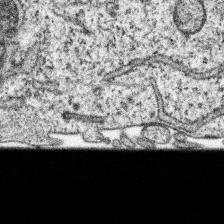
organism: Human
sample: HeLa cells